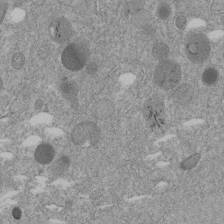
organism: C. elegans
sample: C. elegans embryo early stage